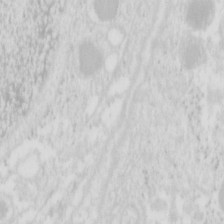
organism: Mouse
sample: Pancreas